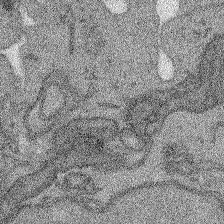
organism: Human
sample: HeLa cells